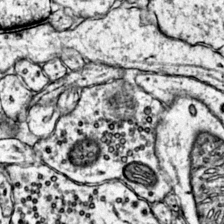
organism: Mouse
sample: Primary visual cortex